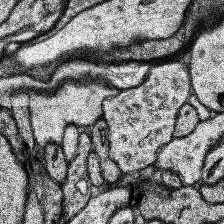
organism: Human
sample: Temporal Lobe